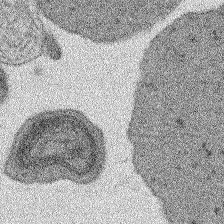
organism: Human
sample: HeLa cells